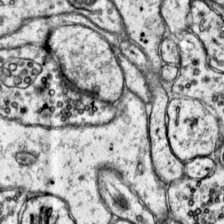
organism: Mouse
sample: Primary visual cortex